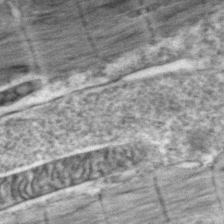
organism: Zebrafish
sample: Zebrafish embryo